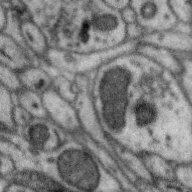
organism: Zebra finch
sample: Brain